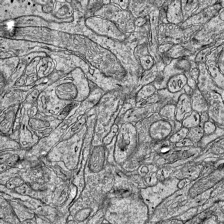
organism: Mouse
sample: Visual Cortex